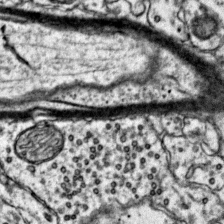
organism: Mouse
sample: Primary visual cortex